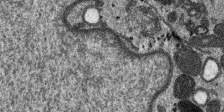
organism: Human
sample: Lung epithelial cells infected with SARS-CoV-2